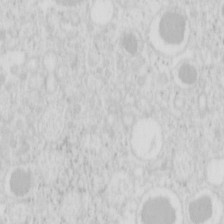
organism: Mouse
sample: Pancreas